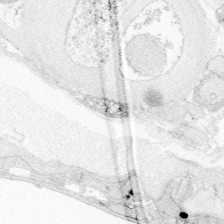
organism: Zebrafish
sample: Whole-Brain